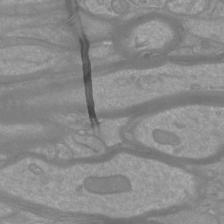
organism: Mouse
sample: Cortical neurons